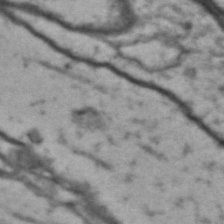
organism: Drosophila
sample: Brain